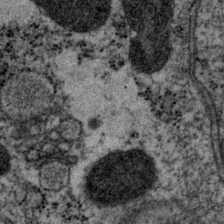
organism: P. pacificus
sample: Pharynx